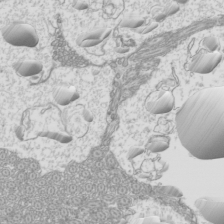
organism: Mouse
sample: Cilia; mouse epididymis